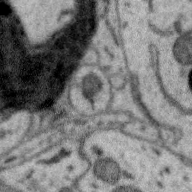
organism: Zebra finch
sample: Brain